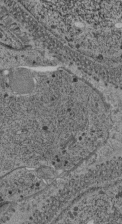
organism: C. elegans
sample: C. elegans pharynx